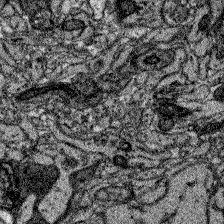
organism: Zebrafish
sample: Larval olfactory bulb